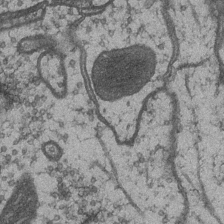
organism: Drosophila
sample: Optic medulla